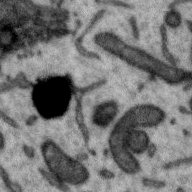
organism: Zebra finch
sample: Brain